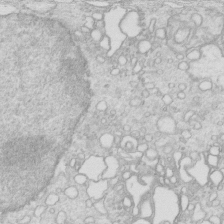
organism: Mouse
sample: Multiciliated cells